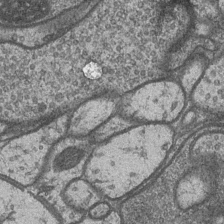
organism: Drosophila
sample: Optic medulla